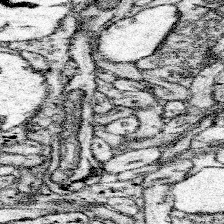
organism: Mouse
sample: Somatosensory cortex neuropil